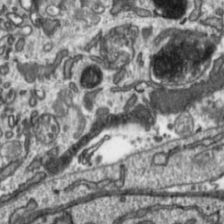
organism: Toxoplasma gondii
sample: Parasites in a vacuole inside a host cell